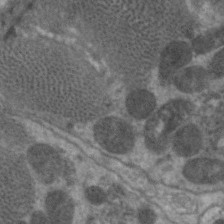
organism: C. elegans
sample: Pharynx